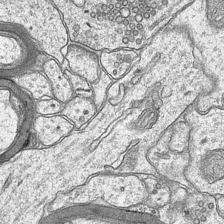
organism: Mouse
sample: CA1 Hippocampus